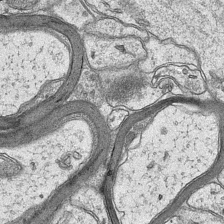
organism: Mouse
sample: CA1 Hippocampus